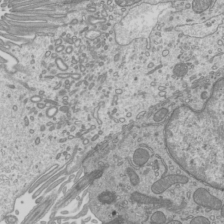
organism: Mouse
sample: Cilia; mouse epididymis